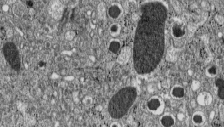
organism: C57BL Mouse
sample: Pancreatic islet